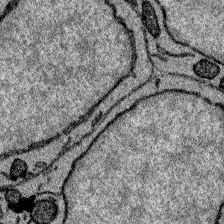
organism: Zebrafish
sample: Larval olfactory bulb